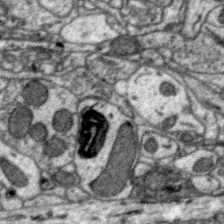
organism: Zebra finch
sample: Brain